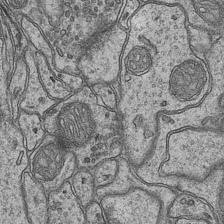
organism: Mouse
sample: CA1 Hippocampus